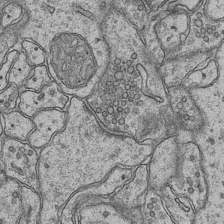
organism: Mouse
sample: CA1 Hippocampus